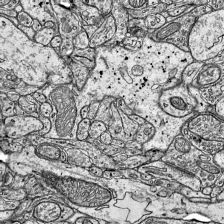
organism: Mouse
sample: Visual Cortex